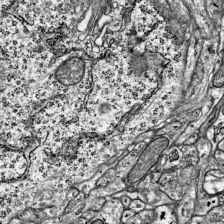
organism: Mouse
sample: Visual Cortex